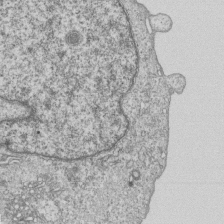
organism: Human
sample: MDA-MB-231 cells